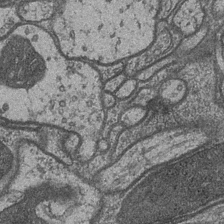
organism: Drosophila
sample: Optic medulla